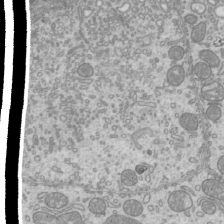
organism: Mouse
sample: Cilia; mouse epididymis